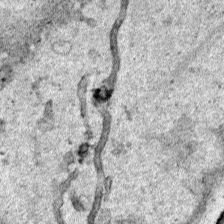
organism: Human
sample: Mitochondria in HCT116 cells